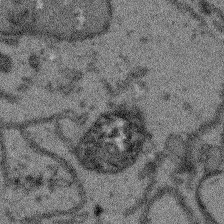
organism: Arabidopsis thaliana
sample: Root tip